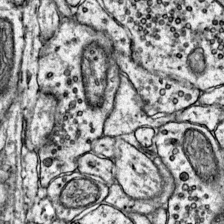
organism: Mouse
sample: Primary visual cortex